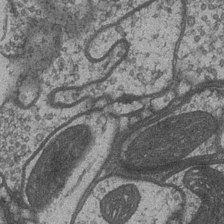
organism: Drosophila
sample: Optic medulla